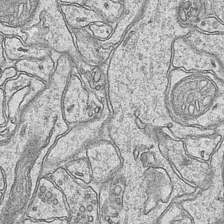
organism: Mouse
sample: CA1 Hippocampus